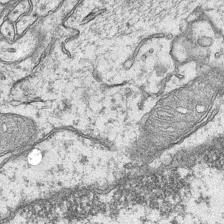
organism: Mouse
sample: CA1 Hippocampus